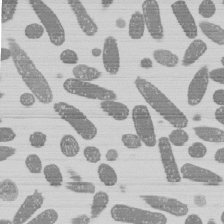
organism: E. coli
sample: Bacterial nucleoid